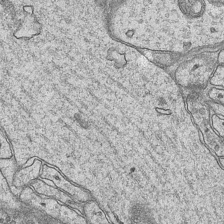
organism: Mouse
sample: CA1 Hippocampus